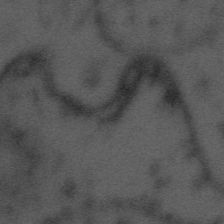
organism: Tuwongella immobilis